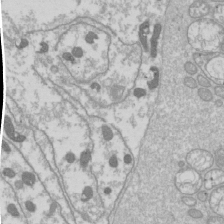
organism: Drosophila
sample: Cell division; meiosis; drosophila spermatocytes